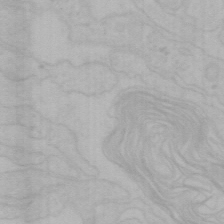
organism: Mouse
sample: Choroid plexus